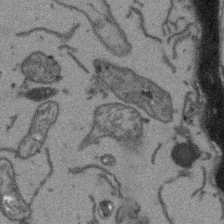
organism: Arabidopsis thaliana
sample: Root tip